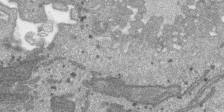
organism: Human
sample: Lung epithelial cells infected with SARS-CoV-2